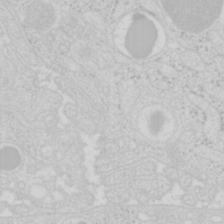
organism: Mouse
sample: Pancreas